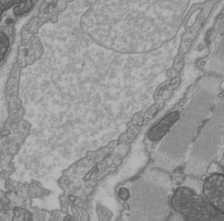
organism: C57BL Mouse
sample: Heart